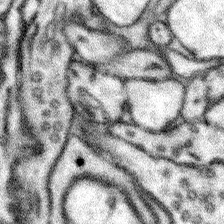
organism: Mouse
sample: Somatosensory cortex neuropil